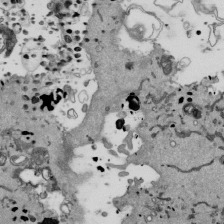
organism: Mouse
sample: ED-1 cell nuclei; centrioles